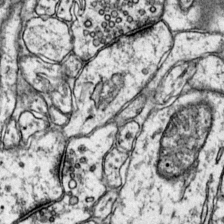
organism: Mouse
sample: Primary visual cortex